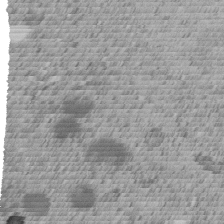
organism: C. elegans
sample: C. elegans embryo early stage